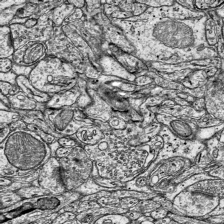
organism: Mouse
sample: Visual Cortex